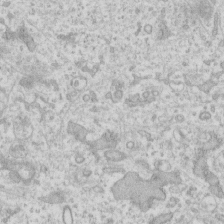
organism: Human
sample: Fibroblast cells